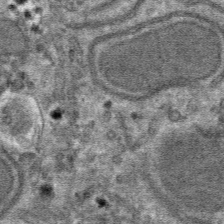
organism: Mouse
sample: Mouse hepatocytes